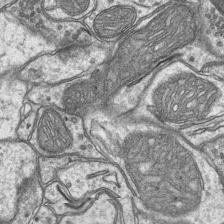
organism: Mouse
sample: CA1 Hippocampus